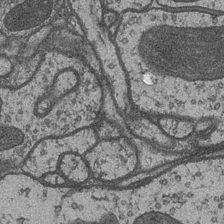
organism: Drosophila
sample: Optic medulla